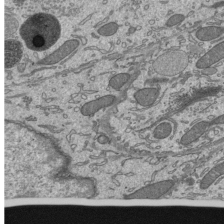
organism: Mouse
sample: Mouse epididymis efferent ductule cilia